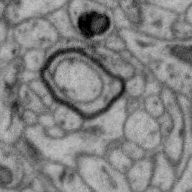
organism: Zebra finch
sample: Brain